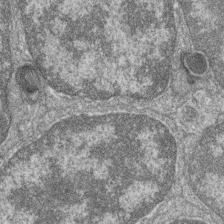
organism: Zebrafish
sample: Cilia; retinal pigment epithelium